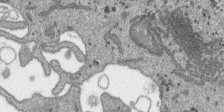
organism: Human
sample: Lung epithelial cells infected with SARS-CoV-2